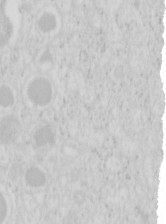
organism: Mouse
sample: Pancreas